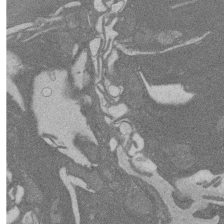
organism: Rat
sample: Salivary granule